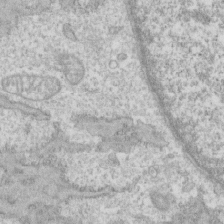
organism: Human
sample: CRL-1474